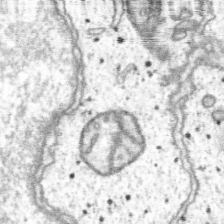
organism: Human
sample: HeLa cells